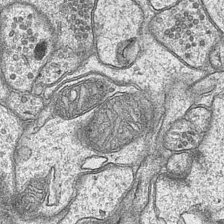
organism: Mouse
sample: CA1 Hippocampus